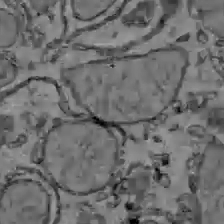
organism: C57BL Mouse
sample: Liver